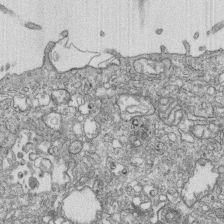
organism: Human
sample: HeLa cell HIV synapse